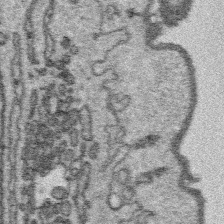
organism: Platynereis dumerilii